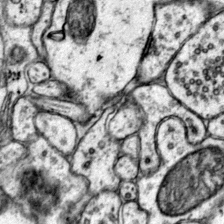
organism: Mouse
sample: Primary visual cortex